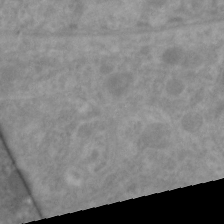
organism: C. elegans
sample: Pharynx